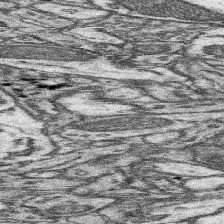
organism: Mouse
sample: Somatosensory cortex neuropil